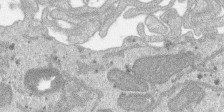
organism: Human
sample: Lung epithelial cells infected with SARS-CoV-2